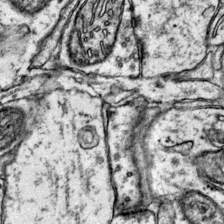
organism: Mouse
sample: Primary visual cortex